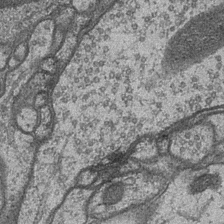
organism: Drosophila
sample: Optic medulla